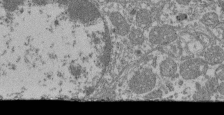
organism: Mouse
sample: Glomerulus